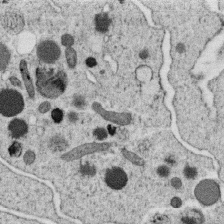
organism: C. elegans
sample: C. elegans oocyte; sperm cells